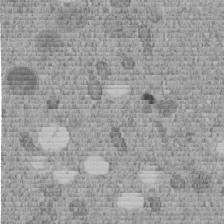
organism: C. elegans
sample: C. elegans embryo early stage